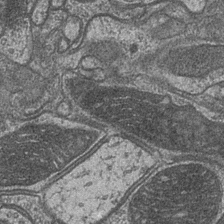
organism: Drosophila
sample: Optic medulla